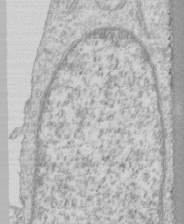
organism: Human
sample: CRL-1474